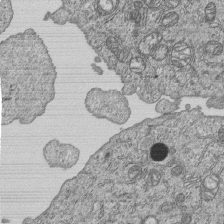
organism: Human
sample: MDA-MB-231 cells